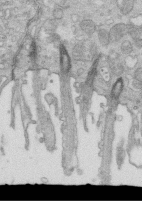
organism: Mouse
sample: Multiciliated cells